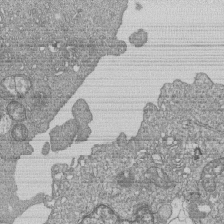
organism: Human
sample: MDA-MB-231 cells